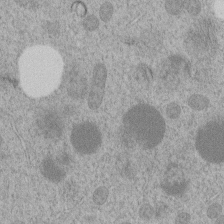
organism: C. elegans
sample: C. elegans embryo early stage